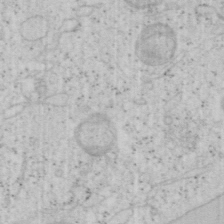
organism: Human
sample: HeLa cells